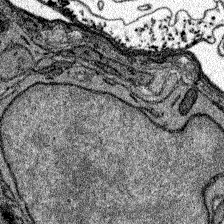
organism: Zebrafish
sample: Larval olfactory bulb